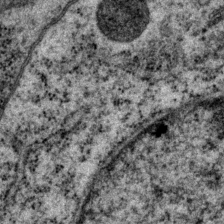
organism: P. pacificus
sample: Pharynx